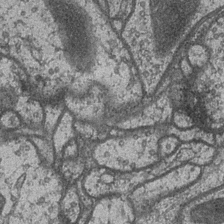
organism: Drosophila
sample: Optic medulla